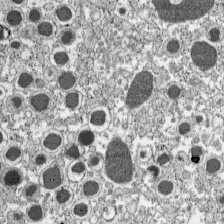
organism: C57BL Mouse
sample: Pancreatic islet